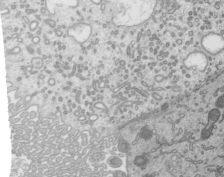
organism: Mouse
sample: Mouse epididymis efferent ductule cilia